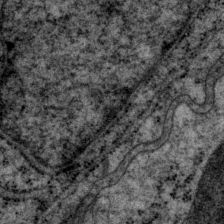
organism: P. pacificus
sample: Pharynx